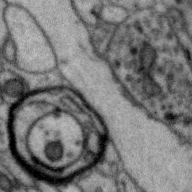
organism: Zebra finch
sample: Brain